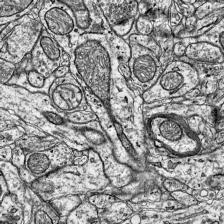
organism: Mouse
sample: Visual Cortex